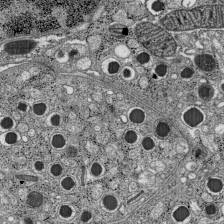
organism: C57BL Mouse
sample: Pancreatic islet